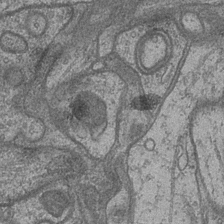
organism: Drosophila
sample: Optic medulla